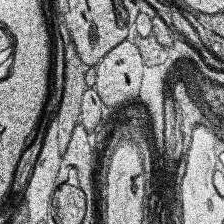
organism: Human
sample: Temporal Lobe